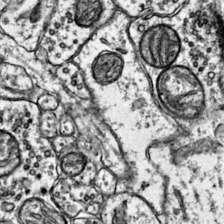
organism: Mouse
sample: Primary visual cortex